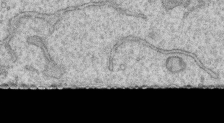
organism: Human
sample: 1205lu cells